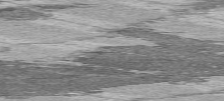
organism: C57BL Mouse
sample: Heart